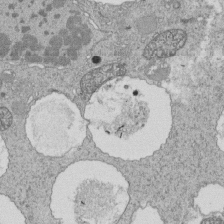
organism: Tetrahymena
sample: Cilia in tetrahymena